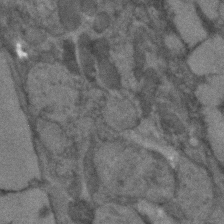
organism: Human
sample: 1205lu cells